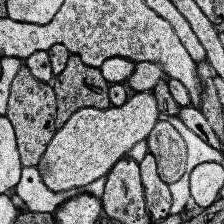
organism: Human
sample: Temporal Lobe